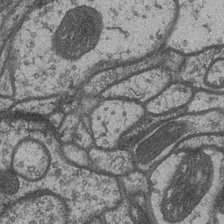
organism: Drosophila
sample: Optic medulla